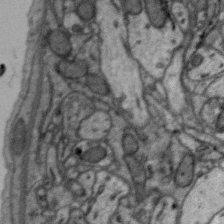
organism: Zebra finch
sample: Brain